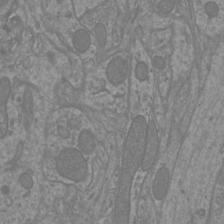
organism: Mouse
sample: Cortical neurons